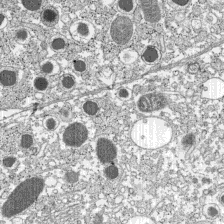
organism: C57BL Mouse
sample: Pancreatic islet